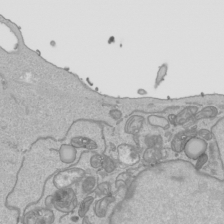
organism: Human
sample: Mitochondria in HCT116 cells